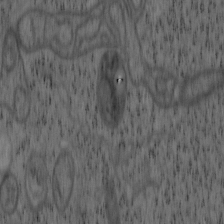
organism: Human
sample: HeLa cells